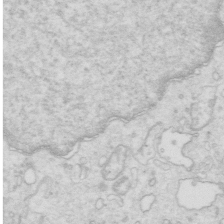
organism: Mouse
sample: Multiciliated cells